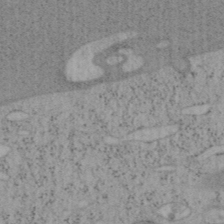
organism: Mouse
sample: OT-I killer T cells with ID8 ovarian cancer cells